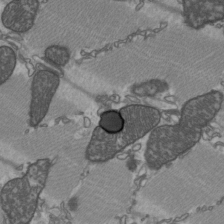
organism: C57BL Mouse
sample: Heart